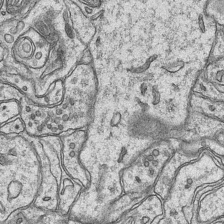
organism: Mouse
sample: CA1 Hippocampus